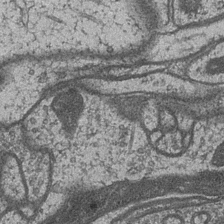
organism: Drosophila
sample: Optic medulla